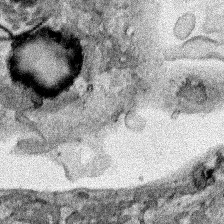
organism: Human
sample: Mitochondria in HCT116 cells